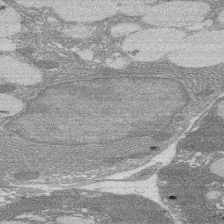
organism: Rat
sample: Salivary granule